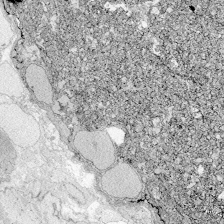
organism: Zebrafish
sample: Whole-Brain